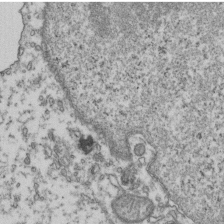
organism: Human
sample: Activated Jurkat CD4+ T cells